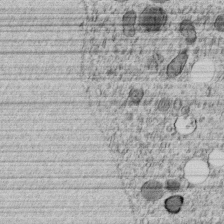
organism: C. elegans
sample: C. elegans embryo early stage